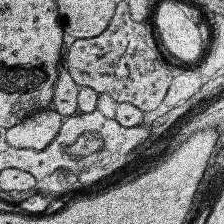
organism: Human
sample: Temporal Lobe